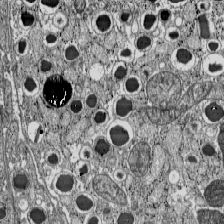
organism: C57BL Mouse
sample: Pancreatic islet